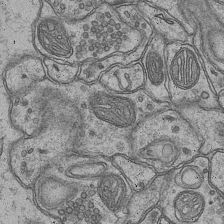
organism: Mouse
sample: CA1 Hippocampus